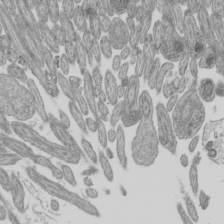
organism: Mouse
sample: Cilia; mouse epididymis